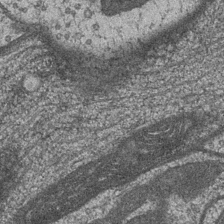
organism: Drosophila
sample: Optic medulla